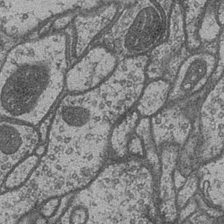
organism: Drosophila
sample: Optic medulla